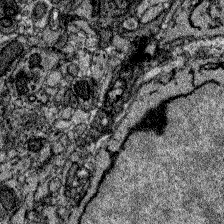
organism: Zebrafish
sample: Larval olfactory bulb